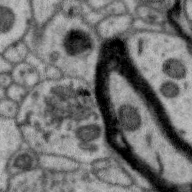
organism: Zebra finch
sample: Brain